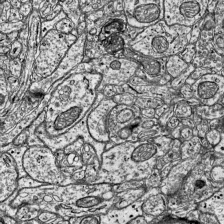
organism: Mouse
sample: Visual Cortex